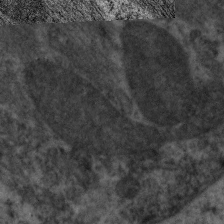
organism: C. elegans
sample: Pharynx